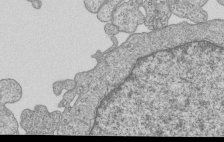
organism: Human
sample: MDA-MB-231 cells